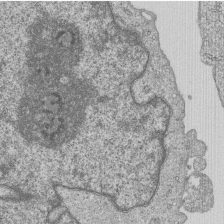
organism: Human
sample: MDA-MB-231 cells